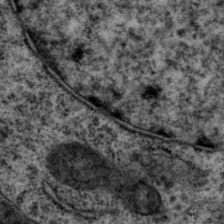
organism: P. pacificus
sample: Pharynx